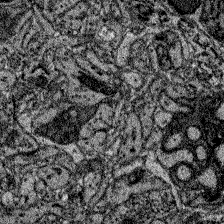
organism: Zebrafish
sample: Larval olfactory bulb